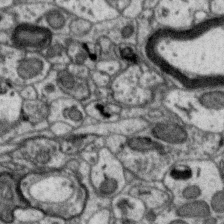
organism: Zebra finch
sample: Brain